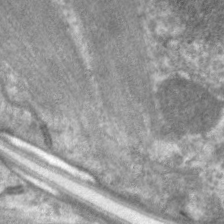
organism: C. elegans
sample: Pharynx